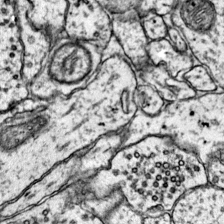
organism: Mouse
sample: Primary visual cortex